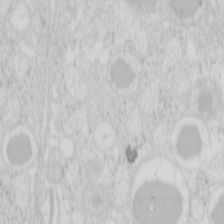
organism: Mouse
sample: Pancreas